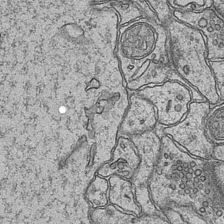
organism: Mouse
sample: CA1 Hippocampus